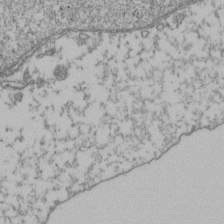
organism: Human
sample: Activated Jurkat CD4+ T cells